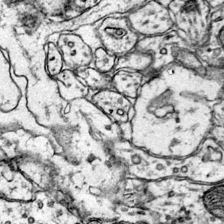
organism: Mouse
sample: Primary visual cortex